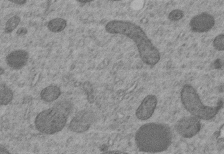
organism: C. elegans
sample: C. elegans embryo early stage